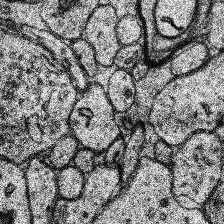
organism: Human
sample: Temporal Lobe